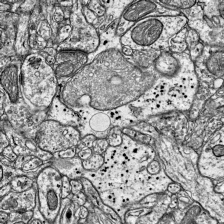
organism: Mouse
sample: Visual Cortex